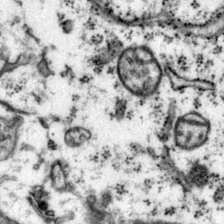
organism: Mouse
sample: Primary visual cortex